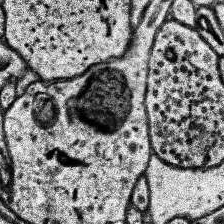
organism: Human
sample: Temporal Lobe